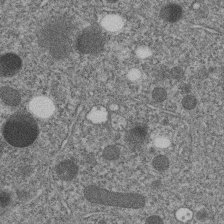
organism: C. elegans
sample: C. elegans embryo early stage